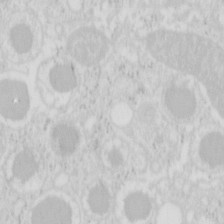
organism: Mouse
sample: Pancreas